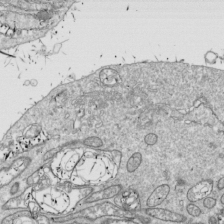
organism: Drosophila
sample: Cell division; meiosis; drosophila spermatocytes